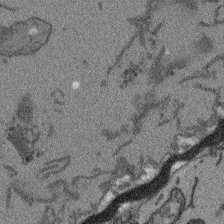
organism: Arabidopsis thaliana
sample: Root tip